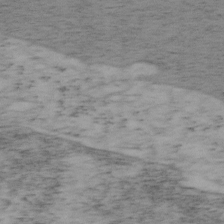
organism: Mouse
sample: OT-I killer T cells with ID8 ovarian cancer cells